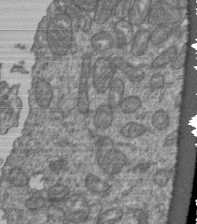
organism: Human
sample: Retinal organoid Rod and Cone cells